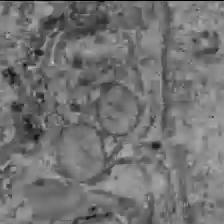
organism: C57BL Mouse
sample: Liver